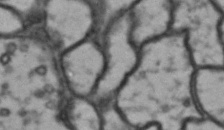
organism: Drosophila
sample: Brain